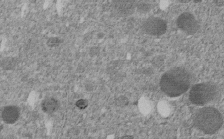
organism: C. elegans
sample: C. elegans embryo early stage